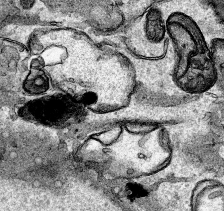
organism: Human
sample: Mitochondria in HCT116 cells